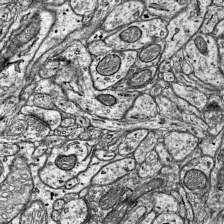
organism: Mouse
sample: Visual Cortex